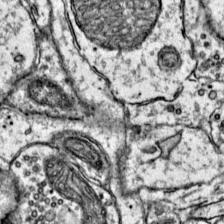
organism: Mouse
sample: Primary visual cortex